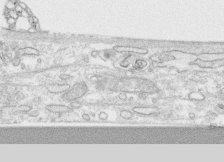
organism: Human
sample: CRL-1474